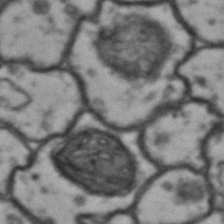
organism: Drosophila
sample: Brain